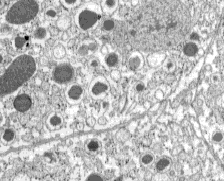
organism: C57BL Mouse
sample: Pancreatic islet